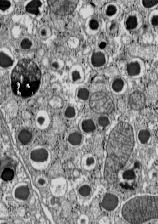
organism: C57BL Mouse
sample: Pancreatic islet